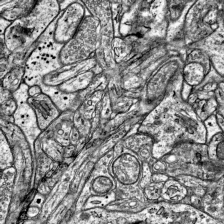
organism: Mouse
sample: Visual Cortex